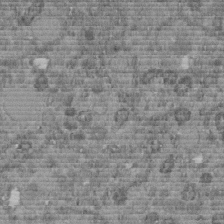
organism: C. elegans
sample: C. elegans embryo early stage